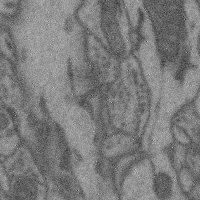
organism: Mouse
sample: Cerebral cortex